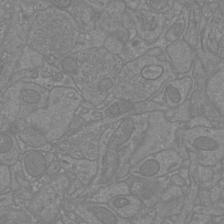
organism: Mouse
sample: Cortical neurons